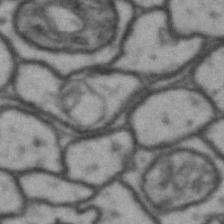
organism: Drosophila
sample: Brain